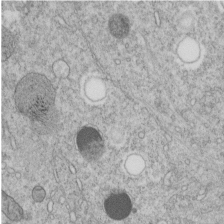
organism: C. elegans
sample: C. elegans embryo early stage